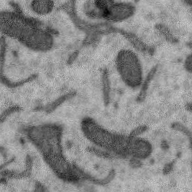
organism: Zebra finch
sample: Brain